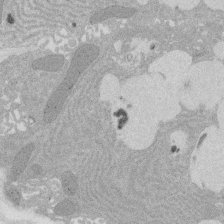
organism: Rat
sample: Salivary granule